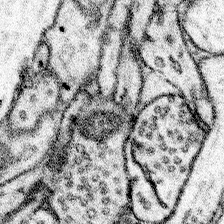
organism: Mouse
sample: Somatosensory cortex neuropil